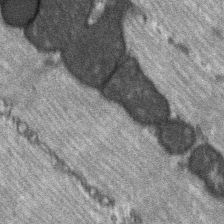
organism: C57BL Mouse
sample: Soleus